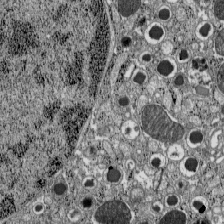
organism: C57BL Mouse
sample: Pancreatic islet